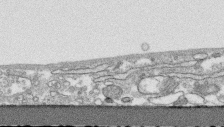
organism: Human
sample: CRL-1474